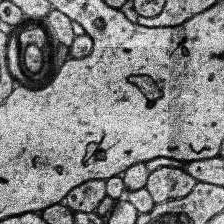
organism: Human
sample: Temporal Lobe